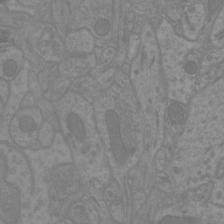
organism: Mouse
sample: Cortical neurons